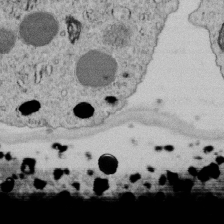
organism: C. elegans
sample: C. elegans embryo early stage